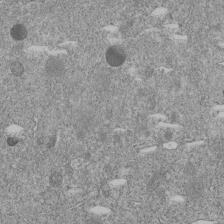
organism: C. elegans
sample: C. elegans embryo early stage